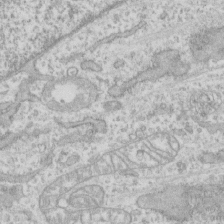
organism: Human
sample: CRL-1474